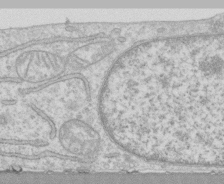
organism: Human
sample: CRL-1474